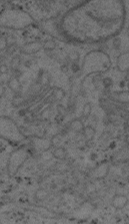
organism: Human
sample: HeLa cells